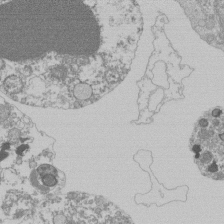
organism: Mouse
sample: Activated Pmel transgenic CD8+ T Cells